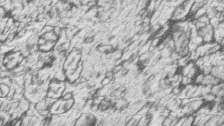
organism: Zebrafish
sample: synaptic ribbons in rod cells and cone cells